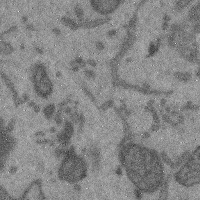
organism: Mouse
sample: Cerebral cortex